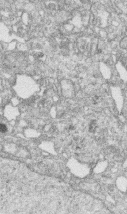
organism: Human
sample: HeLa cell HIV synapse